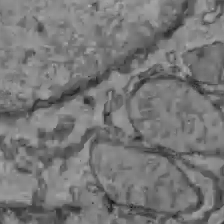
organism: C57BL Mouse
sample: Liver